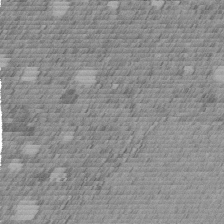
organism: C. elegans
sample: C. elegans embryo early stage